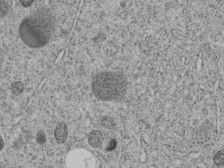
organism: C. elegans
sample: C. elegans embryo early stage